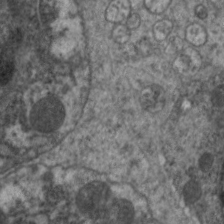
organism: C. elegans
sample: Pharynx